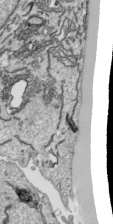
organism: Human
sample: Mitochondria in HCT116 cells